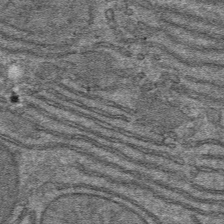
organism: Mouse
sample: Mouse hepatocytes